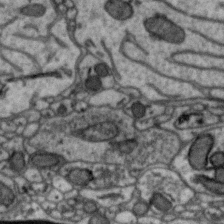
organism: Zebra finch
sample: Brain